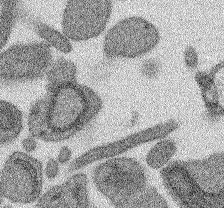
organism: Human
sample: HeLa cells